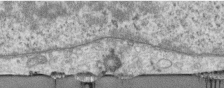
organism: Human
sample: Centriole in RPE cells